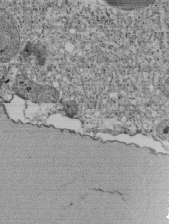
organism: Tetrahymena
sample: Cilia in tetrahymena